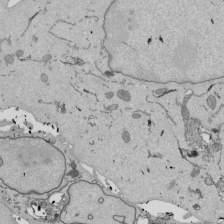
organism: Mouse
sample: ED-1 cell nuclei; centrioles